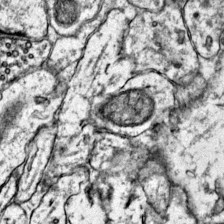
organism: Mouse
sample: Primary visual cortex